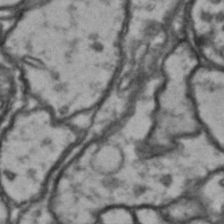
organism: Drosophila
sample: Brain